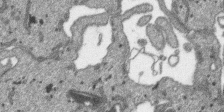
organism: Human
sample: Lung epithelial cells infected with SARS-CoV-2